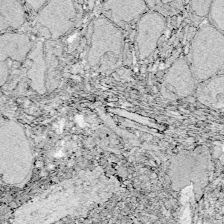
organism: Zebrafish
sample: Whole-Brain